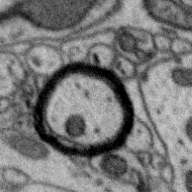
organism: Zebra finch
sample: Brain